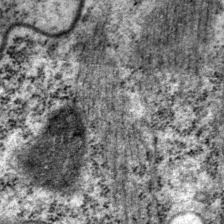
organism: P. pacificus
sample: Pharynx